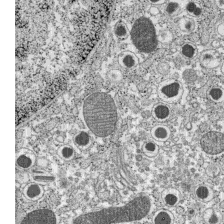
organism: C57BL Mouse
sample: Pancreatic islet